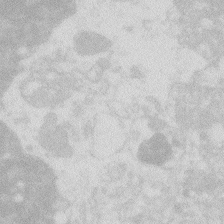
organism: Zebrafish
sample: Macrophage